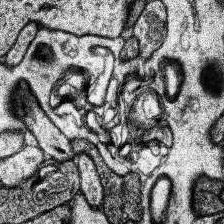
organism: Human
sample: Temporal Lobe